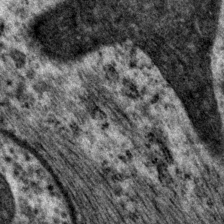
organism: P. pacificus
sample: Pharynx